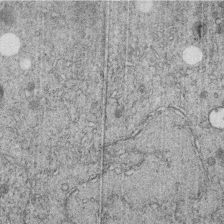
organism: C. elegans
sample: C. elegans embryo early stage